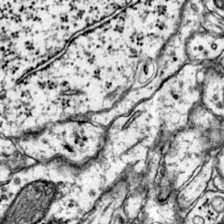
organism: Mouse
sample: Primary visual cortex